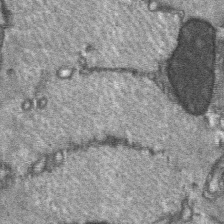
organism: C57BL Mouse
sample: Soleus